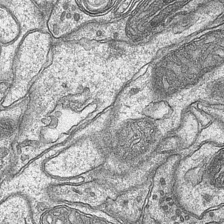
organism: Mouse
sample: CA1 Hippocampus